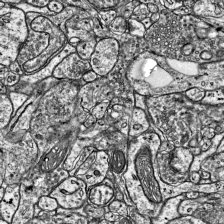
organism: Mouse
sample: Visual Cortex